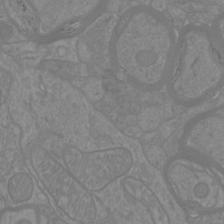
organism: Mouse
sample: Cortical neurons